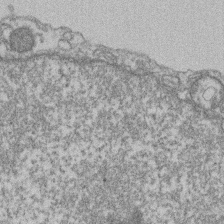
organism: Mouse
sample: T cell stromal cell synapse